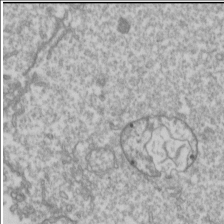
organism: Drosophila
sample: Cell division; meiosis; drosophila spermatocytes